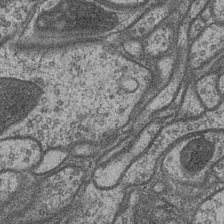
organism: Drosophila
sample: Optic medulla